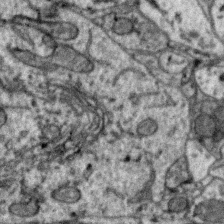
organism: Zebra finch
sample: Brain